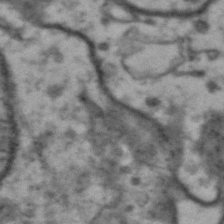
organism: Drosophila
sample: Brain